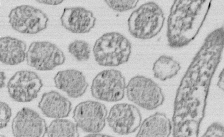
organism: E. coli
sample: Bacterial nucleoid